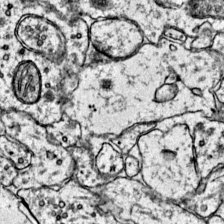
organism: Mouse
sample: Primary visual cortex